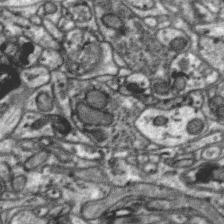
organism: Zebra finch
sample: Brain